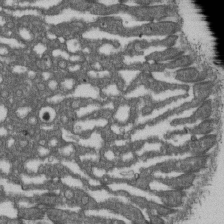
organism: Drosophila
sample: Nephrocyte